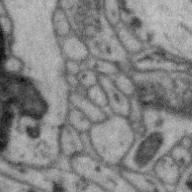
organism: Zebra finch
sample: Brain